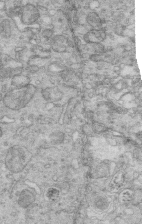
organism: Mouse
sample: Multiciliated cells